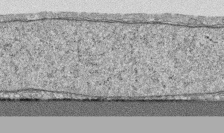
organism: Human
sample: CRL-1474